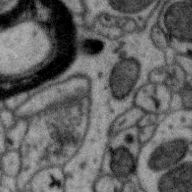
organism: Zebra finch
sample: Brain